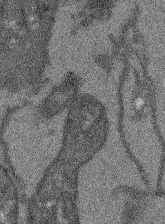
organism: Arabidopsis thaliana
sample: Root tip